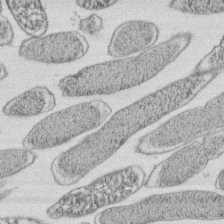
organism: E. coli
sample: Bacterial nucleoid